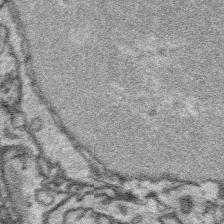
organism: Platynereis dumerilii